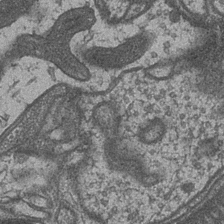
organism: Drosophila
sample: Optic medulla